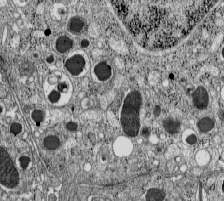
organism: C57BL Mouse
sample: Pancreatic islet